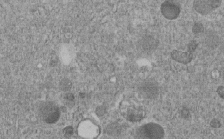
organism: C. elegans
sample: C. elegans embryo early stage